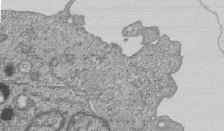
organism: Human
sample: MDA-MB-231 cells